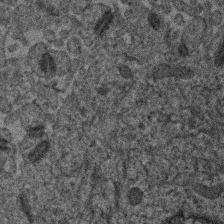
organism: Human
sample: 1205lu cells